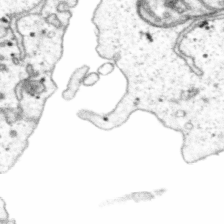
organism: Human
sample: HeLa cells